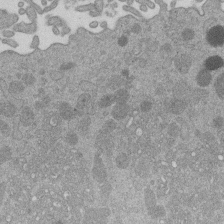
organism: Mouse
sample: Dividing mouse embryo 1 cell stage